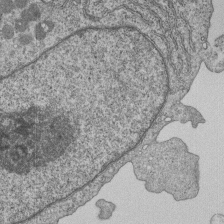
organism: Human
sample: MDA-MB-231 cells